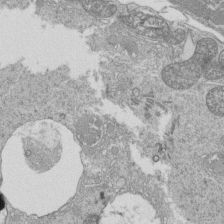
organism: Tetrahymena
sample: Cilia in tetrahymena